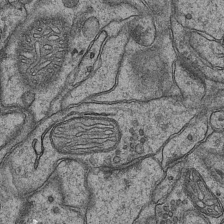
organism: Mouse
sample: CA1 Hippocampus